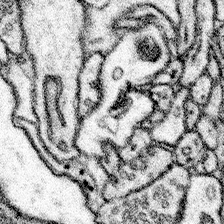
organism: Mouse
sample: Somatosensory cortex neuropil